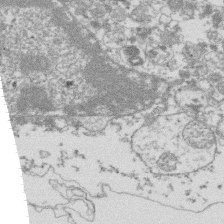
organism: Human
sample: HeLa cell HIV synapse